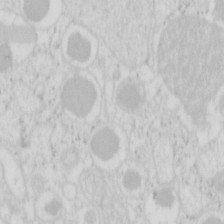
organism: Mouse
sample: Pancreas